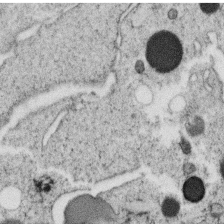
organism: C. elegans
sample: C. elegans oocyte; sperm cells